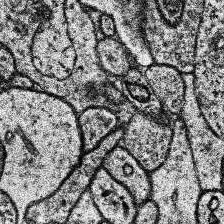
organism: Human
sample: Temporal Lobe